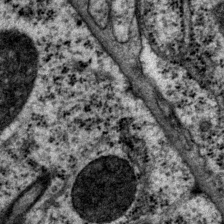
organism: P. pacificus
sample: Pharynx